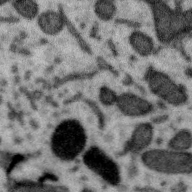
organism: Zebra finch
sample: Brain